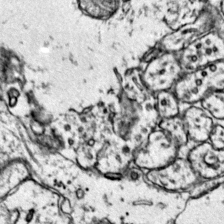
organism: Mouse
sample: Primary visual cortex